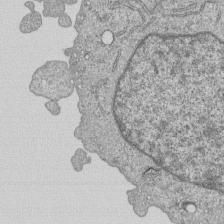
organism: Human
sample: MDA-MB-231 cells